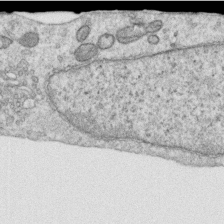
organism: Human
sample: Centriole in RPE cells